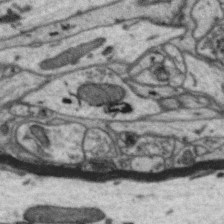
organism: Zebra finch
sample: Brain